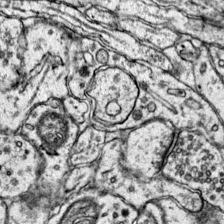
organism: Mouse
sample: Primary visual cortex